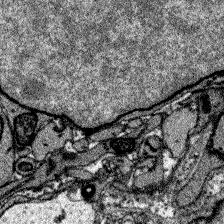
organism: Zebrafish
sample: Larval olfactory bulb